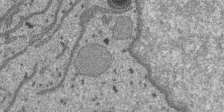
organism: Human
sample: Lung epithelial cells infected with SARS-CoV-2